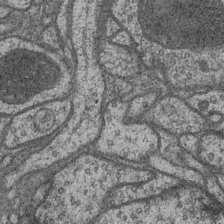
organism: Drosophila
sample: Optic medulla